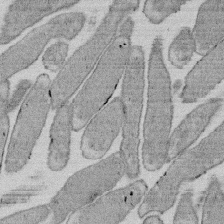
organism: E. coli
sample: Bacterial nucleoid